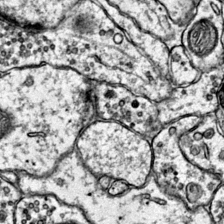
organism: Mouse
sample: Primary visual cortex